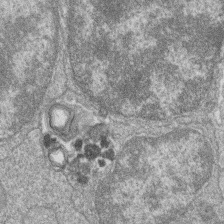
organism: Zebrafish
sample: Cilia; retinal pigment epithelium